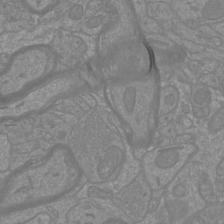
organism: Mouse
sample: Cortical neurons